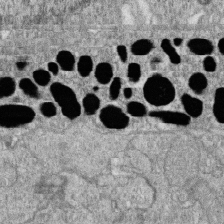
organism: Zebrafish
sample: Cilia; retinal pigment epithelium